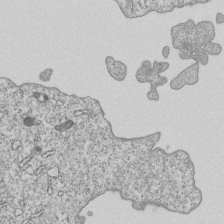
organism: Human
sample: MDA-MB-231 cells